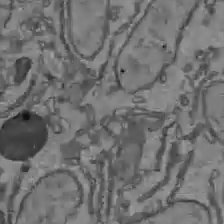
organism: C57BL Mouse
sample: Liver